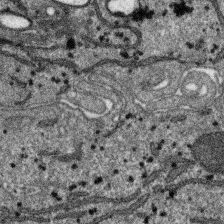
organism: Human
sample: Lung epithelial cells infected with SARS-CoV-2